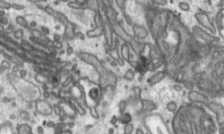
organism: Toxoplasma gondii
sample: Parasites in a vacuole inside a host cell